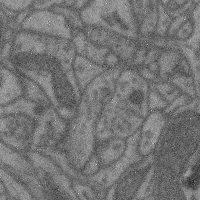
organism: Mouse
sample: Cerebral cortex